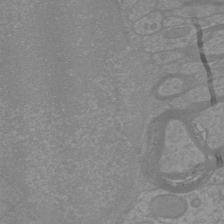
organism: Mouse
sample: Cortical neurons